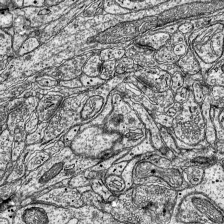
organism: Mouse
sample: Visual Cortex